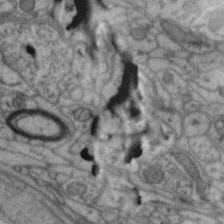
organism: Zebra finch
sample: Brain